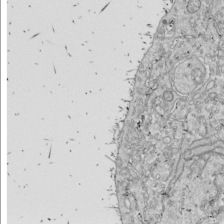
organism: Drosophila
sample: Cell division; meiosis; drosophila spermatocytes